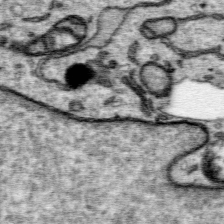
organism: Human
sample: HeLa cells